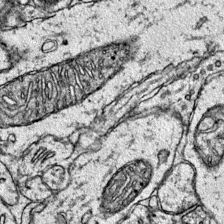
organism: Mouse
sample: Primary visual cortex